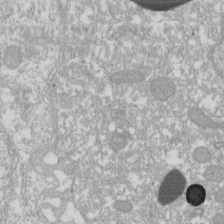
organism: Xenopus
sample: Cilia; centrioles in frog embryo cells